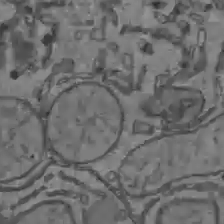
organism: C57BL Mouse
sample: Liver